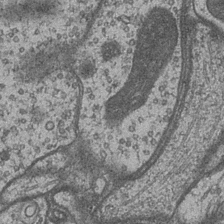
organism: Drosophila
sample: Optic medulla